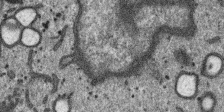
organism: Human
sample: Lung epithelial cells infected with SARS-CoV-2